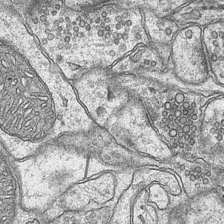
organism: Mouse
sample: CA1 Hippocampus